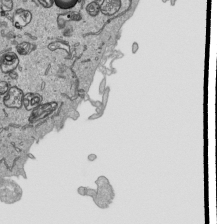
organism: Human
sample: Mitochondria in HCT116 cells